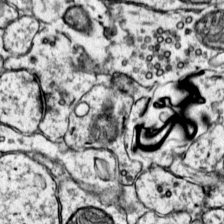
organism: Mouse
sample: Primary visual cortex